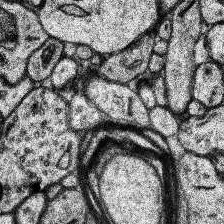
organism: Human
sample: Temporal Lobe